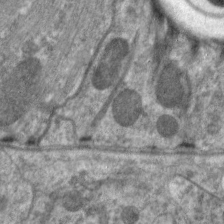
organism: C. elegans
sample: Pharynx